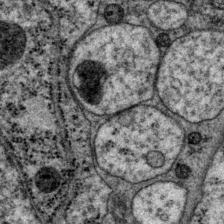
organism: P. pacificus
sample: Pharynx